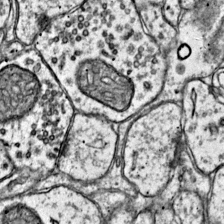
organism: Mouse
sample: Primary visual cortex